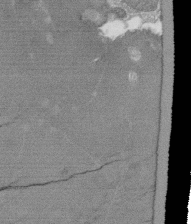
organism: Tetrahymena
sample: Cilia in tetrahymena